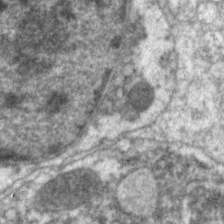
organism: C. elegans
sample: Pharynx